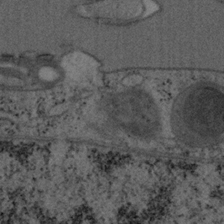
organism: Human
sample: HeLa cells